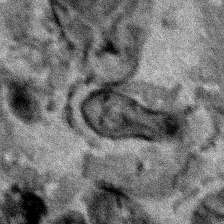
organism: Human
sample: Mitochondria in HCT116 cells